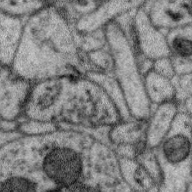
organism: Zebra finch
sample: Brain